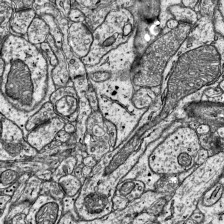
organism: Mouse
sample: Visual Cortex